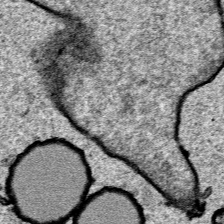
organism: Human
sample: Mitochondria in HCT116 cells